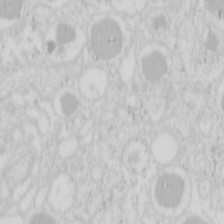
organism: Mouse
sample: Pancreas